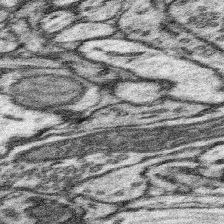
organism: Mouse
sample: Somatosensory cortex neuropil